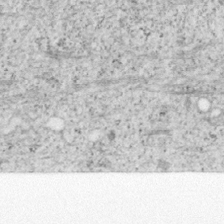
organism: Mouse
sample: OT-I killer T cells with ID8 ovarian cancer cells